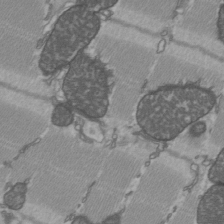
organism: C57BL Mouse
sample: Heart